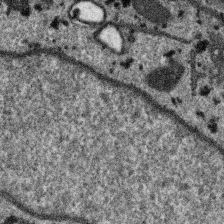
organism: Human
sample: Lung epithelial cells infected with SARS-CoV-2